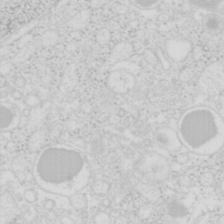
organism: Mouse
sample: Pancreas